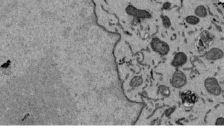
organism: Mouse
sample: ED-1 cell nuclei; centrioles